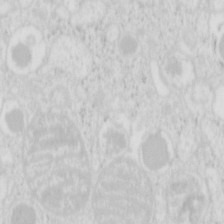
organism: Mouse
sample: Pancreas